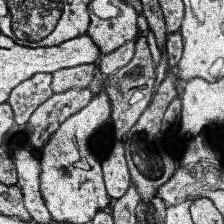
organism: Human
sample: Temporal Lobe